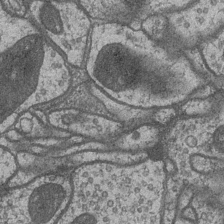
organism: Drosophila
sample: Optic medulla